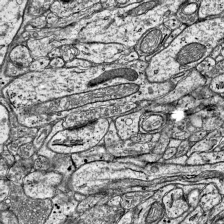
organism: Mouse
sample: Visual Cortex